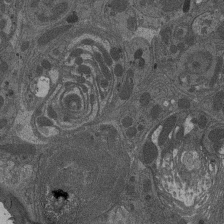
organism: Drosophila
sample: Antenna